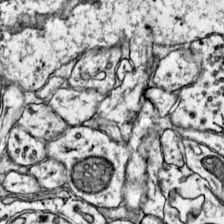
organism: Mouse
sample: Primary visual cortex